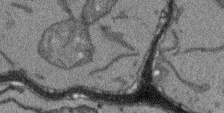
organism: Arabidopsis thaliana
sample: Root tip